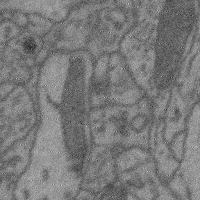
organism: Mouse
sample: Cerebral cortex